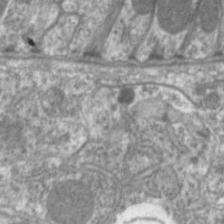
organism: C. elegans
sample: Pharynx